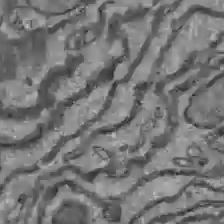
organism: C57BL Mouse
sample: Liver